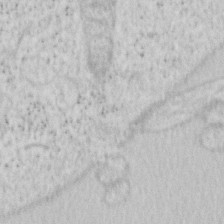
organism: Human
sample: HeLa cells